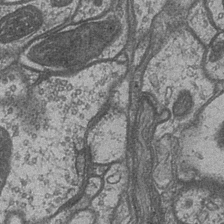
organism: Drosophila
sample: Optic medulla